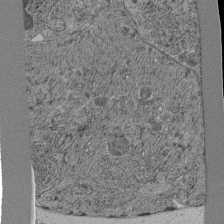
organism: C. elegans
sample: C. elegans pharynx